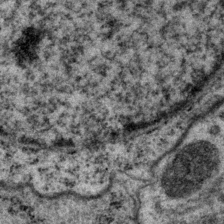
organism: P. pacificus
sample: Pharynx